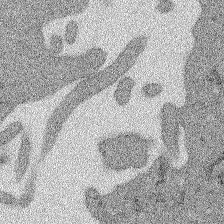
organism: Human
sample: HeLa cells